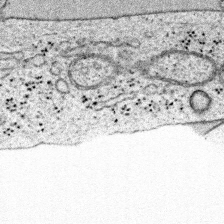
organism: Human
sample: HeLa cells